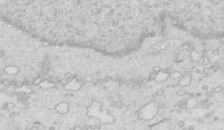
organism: Mouse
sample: Multiciliated cells